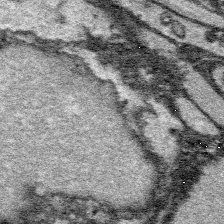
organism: Platynereis dumerilii